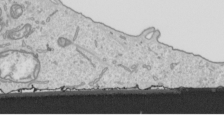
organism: Human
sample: Mitochondria in HCT116 cells